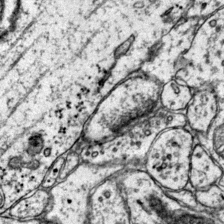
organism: Mouse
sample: Primary visual cortex